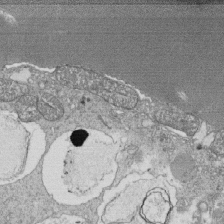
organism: Tetrahymena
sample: Cilia in tetrahymena